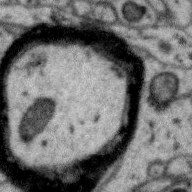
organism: Zebra finch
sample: Brain